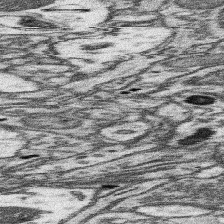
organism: Mouse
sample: Somatosensory cortex neuropil